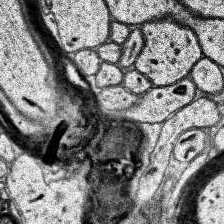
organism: Human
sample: Temporal Lobe